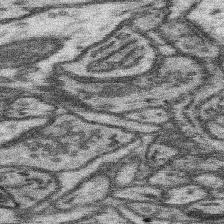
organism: Mouse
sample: Somatosensory cortex neuropil